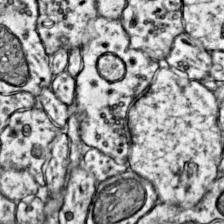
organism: Mouse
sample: Primary visual cortex